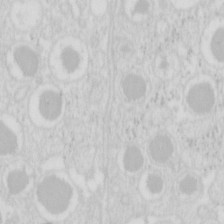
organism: Mouse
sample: Pancreas